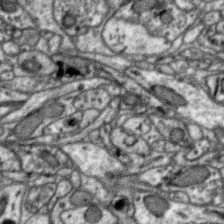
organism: Zebra finch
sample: Brain